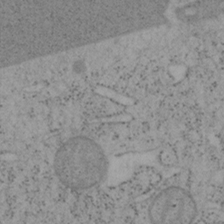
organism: Mouse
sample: OT-I killer T cells with ID8 ovarian cancer cells